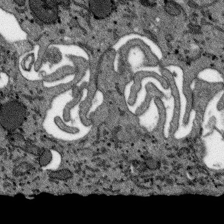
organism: Human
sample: Lung epithelial cells, uninfected (mock) control